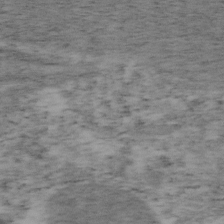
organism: Mouse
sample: OT-I killer T cells with ID8 ovarian cancer cells